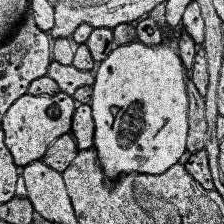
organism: Human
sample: Temporal Lobe